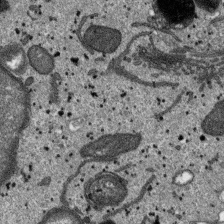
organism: Human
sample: Lung epithelial cells, uninfected (mock) control